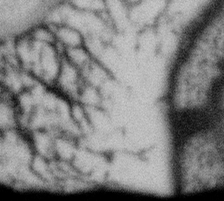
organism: Gemmata obscuriglobus